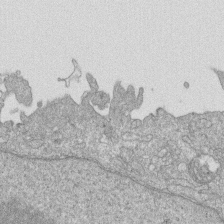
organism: Human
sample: HeLa cell HIV synapse